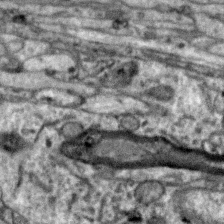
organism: Zebra finch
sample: Brain